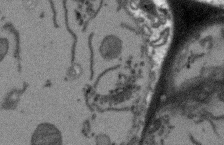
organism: Arabidopsis thaliana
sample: Root tip